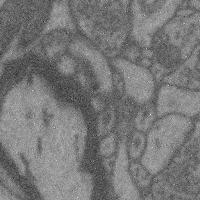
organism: Mouse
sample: Cerebral cortex